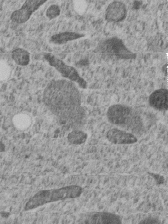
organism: C. elegans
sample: C. elegans embryo early stage